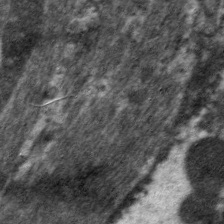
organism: C. elegans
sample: Pharynx